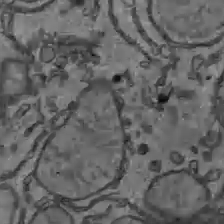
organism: C57BL Mouse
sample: Liver